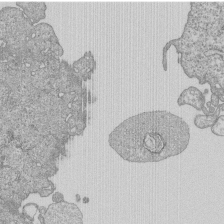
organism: Human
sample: MDA-MB-231 cells